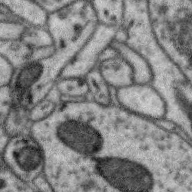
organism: Zebra finch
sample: Brain